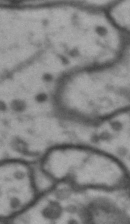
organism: Drosophila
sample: Brain